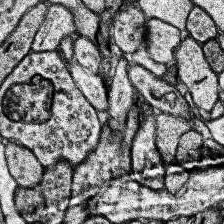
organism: Human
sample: Temporal Lobe